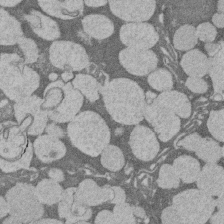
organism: Rat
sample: Salivary granule